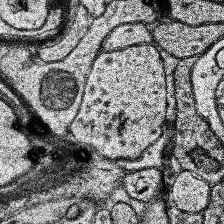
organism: Human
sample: Temporal Lobe